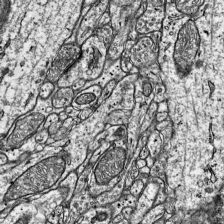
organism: Mouse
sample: Visual Cortex